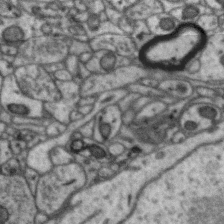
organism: Zebra finch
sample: Brain